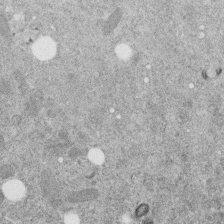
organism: C. elegans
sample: C. elegans embryo early stage